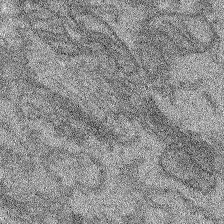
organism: Human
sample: HeLa cells